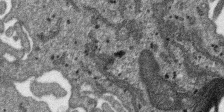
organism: Human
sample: Lung epithelial cells infected with SARS-CoV-2